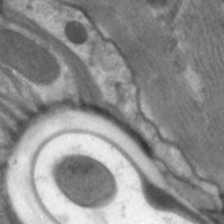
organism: C. elegans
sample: Pharynx